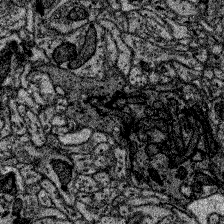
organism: Zebrafish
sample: Larval olfactory bulb